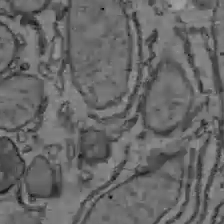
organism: C57BL Mouse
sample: Liver